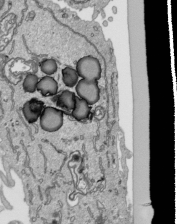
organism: Human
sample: Mitochondria in HCT116 cells